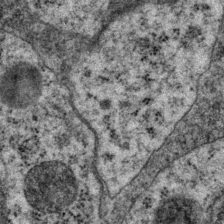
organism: P. pacificus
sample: Pharynx